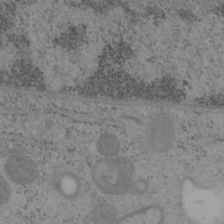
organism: Mouse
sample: OT-I killer T cells with ID8 ovarian cancer cells